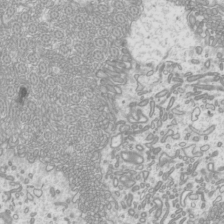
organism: Mouse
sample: Cilia; mouse epididymis